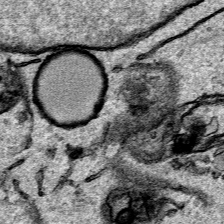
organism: Human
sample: Mitochondria in HCT116 cells